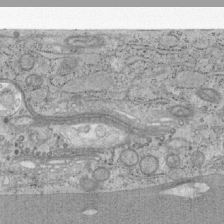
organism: Human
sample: HeLa cells